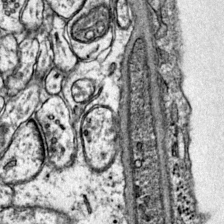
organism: Mouse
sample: Primary visual cortex